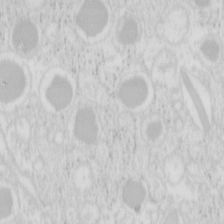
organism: Mouse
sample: Pancreas